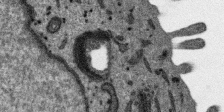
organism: Human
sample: Lung epithelial cells, uninfected (mock) control